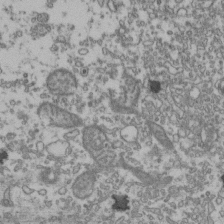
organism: Human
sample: Activated Jurkat CD4+ T cells